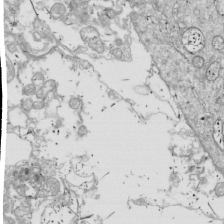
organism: Drosophila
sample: Cell division; meiosis; drosophila spermatocytes